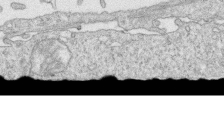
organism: Human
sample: HeLa cell HIV synapse